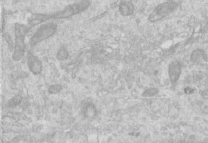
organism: Human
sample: Centriole in RPE cells